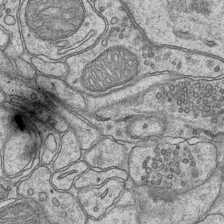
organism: Mouse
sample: CA1 Hippocampus